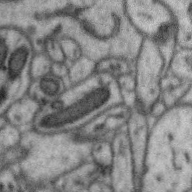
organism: Zebra finch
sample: Brain